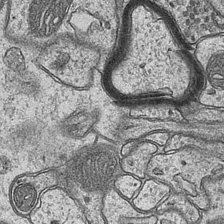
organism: Mouse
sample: CA1 Hippocampus